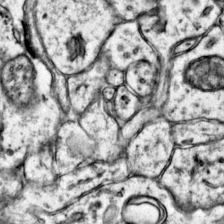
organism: Mouse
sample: Primary visual cortex